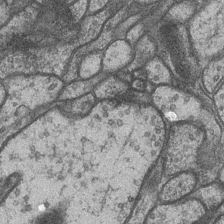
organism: Drosophila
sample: Optic medulla